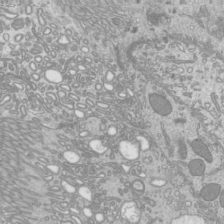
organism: Mouse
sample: Cilia; mouse epididymis